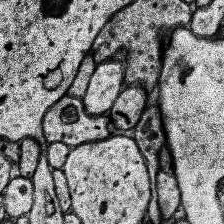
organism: Human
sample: Temporal Lobe